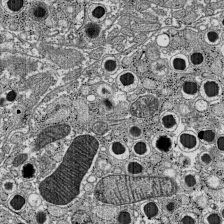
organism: C57BL Mouse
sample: Pancreatic islet